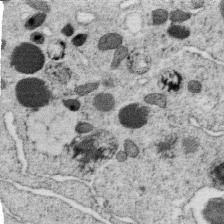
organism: C. elegans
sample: C. elegans oocyte; sperm cells